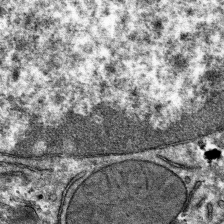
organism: Mouse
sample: Mouse hepatocytes